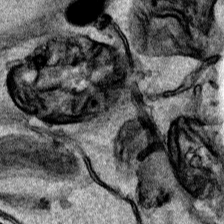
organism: Human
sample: Mitochondria in HCT116 cells